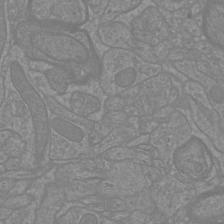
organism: Mouse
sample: Cortical neurons